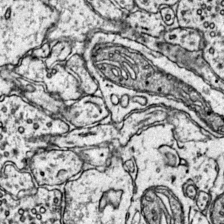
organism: Mouse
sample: Primary visual cortex